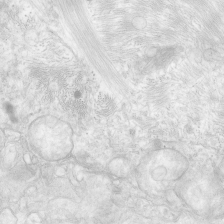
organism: Human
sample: Neocortex